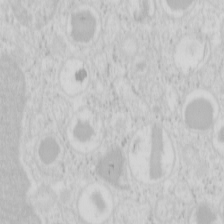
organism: Mouse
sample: Pancreas